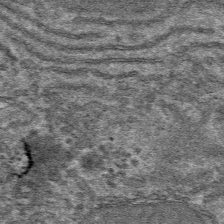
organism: Mouse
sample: Mouse hepatocytes